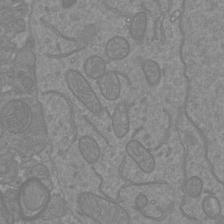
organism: Mouse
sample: Cortical neurons